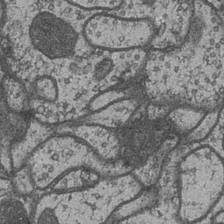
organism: Drosophila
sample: Optic medulla